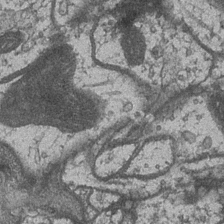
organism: Drosophila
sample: Optic medulla